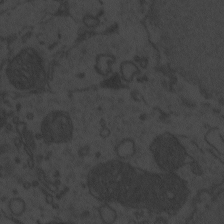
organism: Zebrafish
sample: Macrophage infected with Toxoplasma gondii